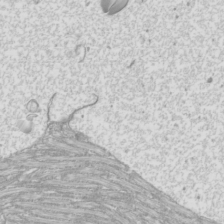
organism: Mouse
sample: Cilia; mouse epididymis